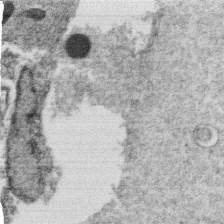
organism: C. elegans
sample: C. elegans oocyte; sperm cells